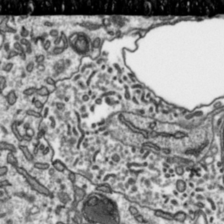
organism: Toxoplasma gondii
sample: Parasites in a vacuole inside a host cell